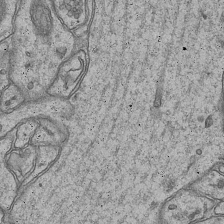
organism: Mouse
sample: CA1 Hippocampus